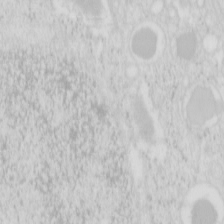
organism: Mouse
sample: Pancreas